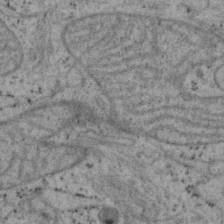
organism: Human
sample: HeLa cells